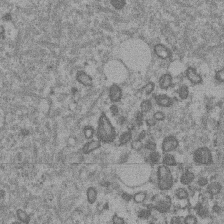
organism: Mouse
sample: Dividing mouse embryo 1 cell stage